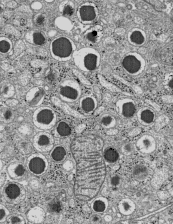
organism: C57BL Mouse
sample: Pancreatic islet